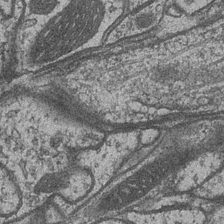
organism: Drosophila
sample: Optic medulla